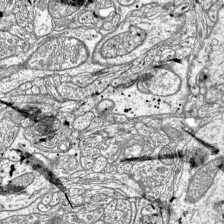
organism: Mouse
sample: Visual Cortex